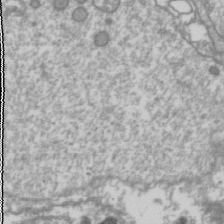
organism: Drosophila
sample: Cell division; meiosis; drosophila spermatocytes